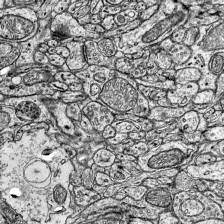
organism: Mouse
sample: Visual Cortex